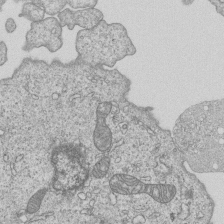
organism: Human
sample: MDA-MB-231 cells